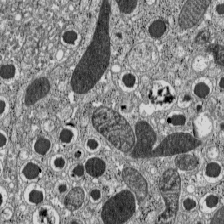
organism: C57BL Mouse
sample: Pancreatic islet